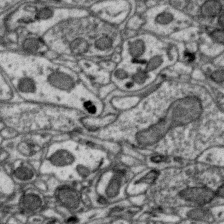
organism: Zebra finch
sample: Brain